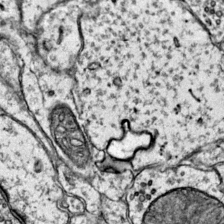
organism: Mouse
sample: Primary visual cortex